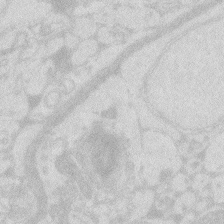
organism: Zebrafish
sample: Macrophage